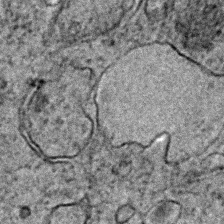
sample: Trachea